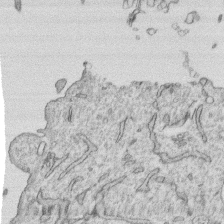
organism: Human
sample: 1205lu cells